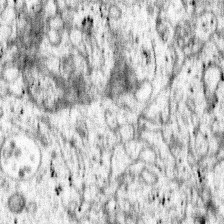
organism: Human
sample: HeLa cells